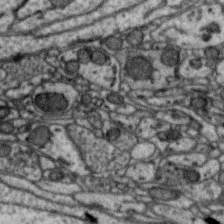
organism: Zebra finch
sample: Brain